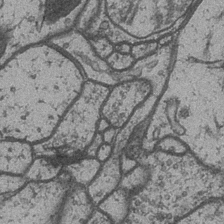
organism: Drosophila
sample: Optic medulla